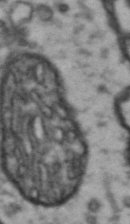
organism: Drosophila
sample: Brain